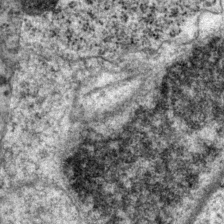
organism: P. pacificus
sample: Pharynx